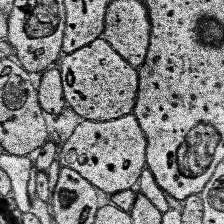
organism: Human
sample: Temporal Lobe